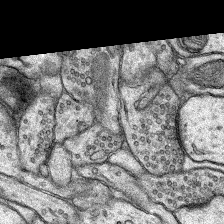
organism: Rat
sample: Hippocampus